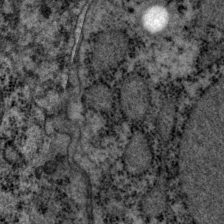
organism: P. pacificus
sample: Pharynx